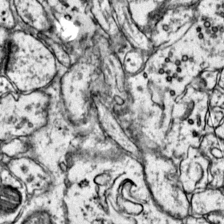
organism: Mouse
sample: Primary visual cortex